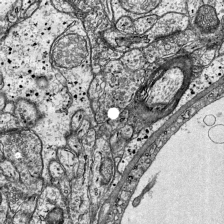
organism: Mouse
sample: Visual Cortex